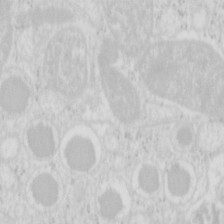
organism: Mouse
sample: Pancreas